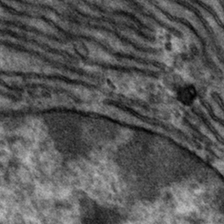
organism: Mouse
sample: Mouse hepatocytes